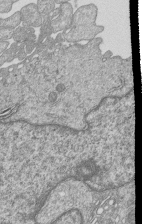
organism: Human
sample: MDA-MB-231 cells